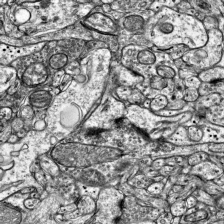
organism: Mouse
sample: Visual Cortex